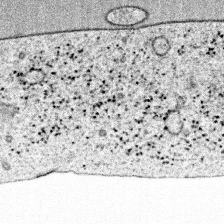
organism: Human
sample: HeLa cells